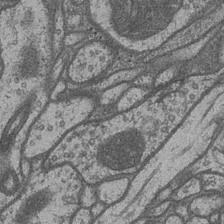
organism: Drosophila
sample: Optic medulla